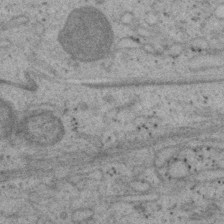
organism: Human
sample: HeLa cells